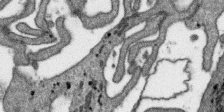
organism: Human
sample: Lung epithelial cells, uninfected (mock) control